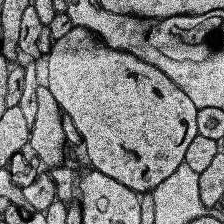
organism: Human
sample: Temporal Lobe